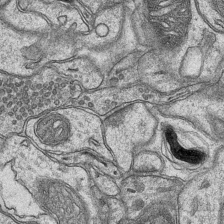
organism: Mouse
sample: CA1 Hippocampus